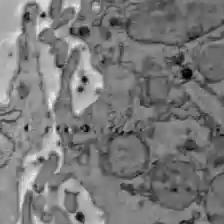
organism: C57BL Mouse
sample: Liver